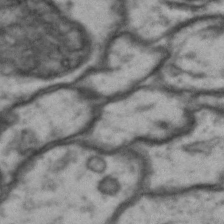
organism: Drosophila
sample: Brain